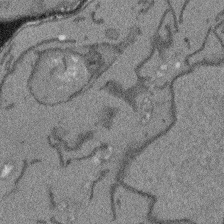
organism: Arabidopsis thaliana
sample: Root tip